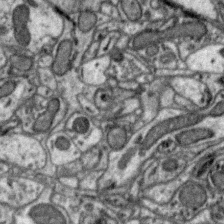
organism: Zebra finch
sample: Brain